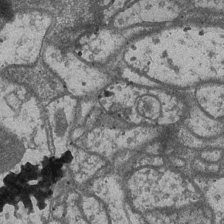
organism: Drosophila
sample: Optic medulla